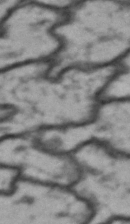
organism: Drosophila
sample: Brain